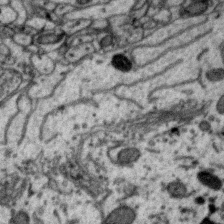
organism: Zebra finch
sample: Brain